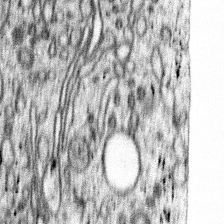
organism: Human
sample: HeLa cells